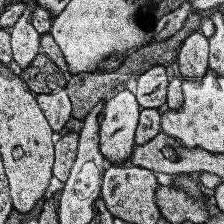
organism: Human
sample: Temporal Lobe